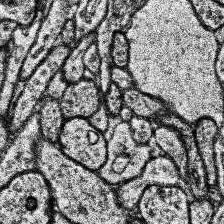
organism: Human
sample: Temporal Lobe